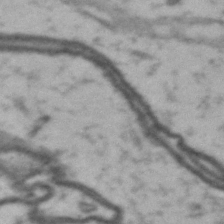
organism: Drosophila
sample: Brain